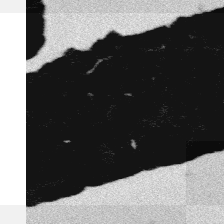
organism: Platynereis dumerilii